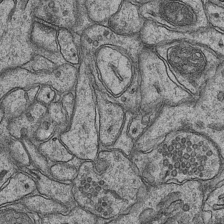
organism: Mouse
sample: CA1 Hippocampus